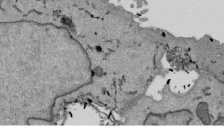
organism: Mouse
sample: ED-1 cell nuclei; centrioles